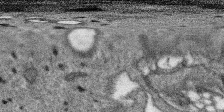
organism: Human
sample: Lung epithelial cells infected with SARS-CoV-2